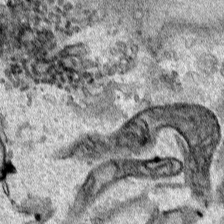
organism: Human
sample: Mitochondria in HCT116 cells